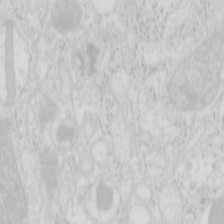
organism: Mouse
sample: Pancreas